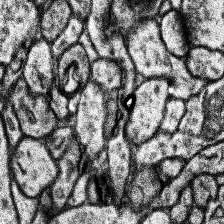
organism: Human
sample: Temporal Lobe